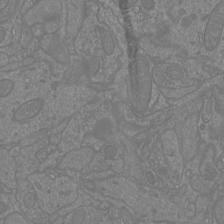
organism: Mouse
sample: Cortical neurons